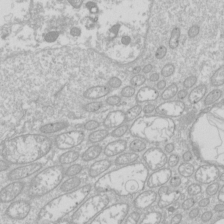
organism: Drosophila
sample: Cell division; meiosis; drosophila spermatocytes